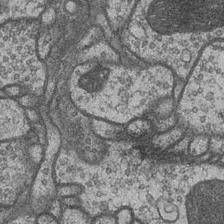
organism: Drosophila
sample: Optic medulla